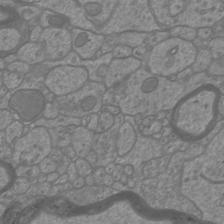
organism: Mouse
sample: Cortical neurons